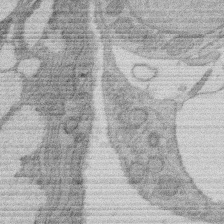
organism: Rat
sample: Salivary granule